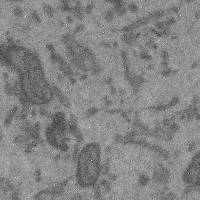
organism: Mouse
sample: Cerebral cortex